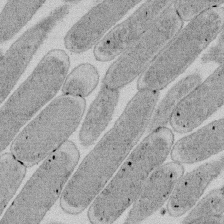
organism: E. coli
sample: Bacterial nucleoid